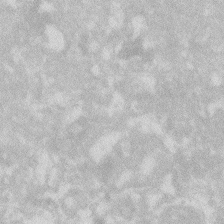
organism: Zebrafish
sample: Macrophage